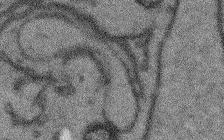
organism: Arabidopsis thaliana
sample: Root tip